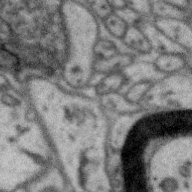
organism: Zebra finch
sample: Brain